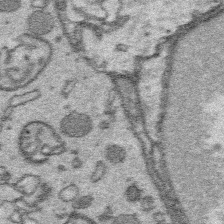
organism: Platynereis dumerilii